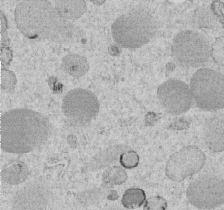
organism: C. elegans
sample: C. elegans embryo early stage